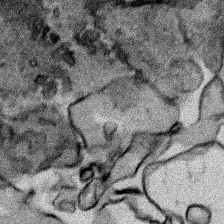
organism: Human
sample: Mitochondria in HCT116 cells